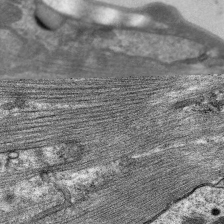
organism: C. elegans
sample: Pharynx